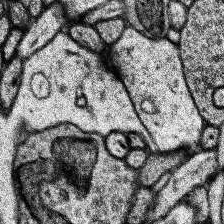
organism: Human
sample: Temporal Lobe